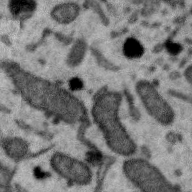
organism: Zebra finch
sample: Brain